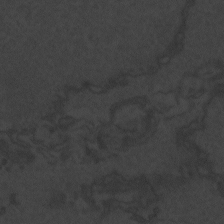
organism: Zebrafish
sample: Macrophage infected with Toxoplasma gondii